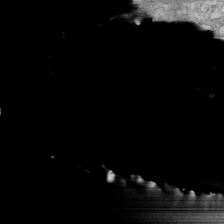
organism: Human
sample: Fibroblast cells